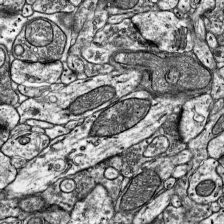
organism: Mouse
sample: Visual Cortex